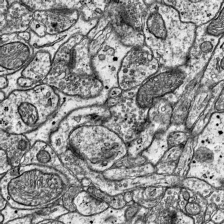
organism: Mouse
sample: Visual Cortex